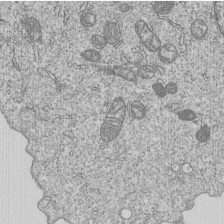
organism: Human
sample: MDA-MB-231 cells